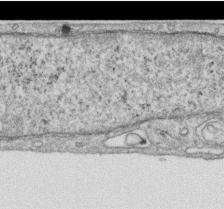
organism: Human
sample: Centriole in RPE cells